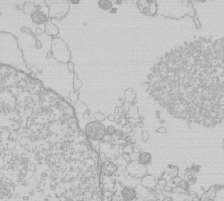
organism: Human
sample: Macrophage cells